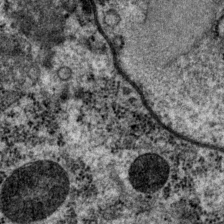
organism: P. pacificus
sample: Pharynx